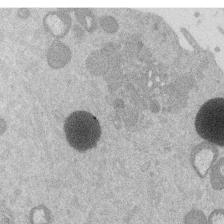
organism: Mouse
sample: Dividing mouse embryo 1 cell stage